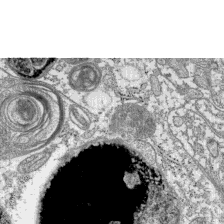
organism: C57BL Mouse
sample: Pancreatic islet